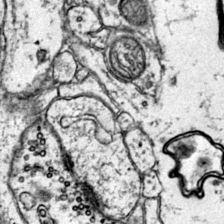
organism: Mouse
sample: Primary visual cortex